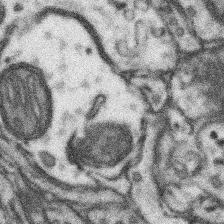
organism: Mouse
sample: Somatosensory cortex neuropil